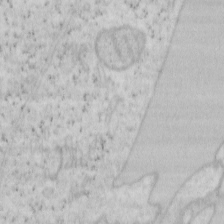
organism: Human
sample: HeLa cells